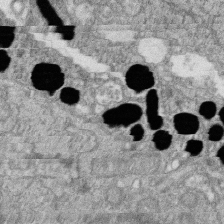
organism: Zebrafish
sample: Cilia; retinal pigment epithelium